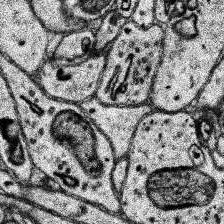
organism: Human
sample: Temporal Lobe